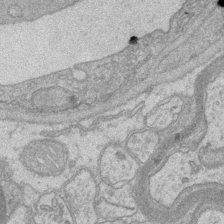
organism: Mouse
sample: CA1 Hippocampus